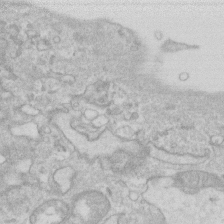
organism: Human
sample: Fibroblast cells